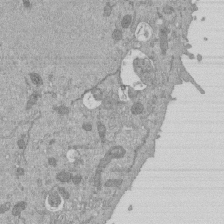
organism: Mouse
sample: ED-1 cell nuclei; centrioles